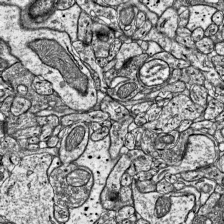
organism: Mouse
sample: Visual Cortex